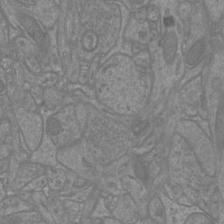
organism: Mouse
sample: Cortical neurons